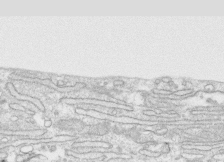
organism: Human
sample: CRL-1474